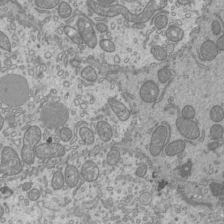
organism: Mouse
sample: Cilia; mouse epididymis